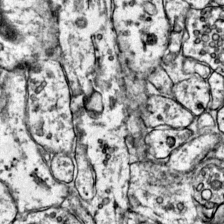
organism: Mouse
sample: Primary visual cortex